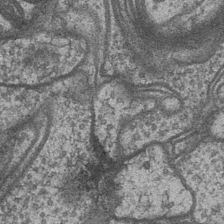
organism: Drosophila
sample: Optic medulla